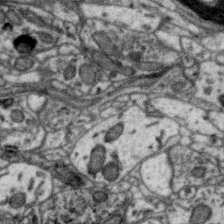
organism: Zebra finch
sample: Brain